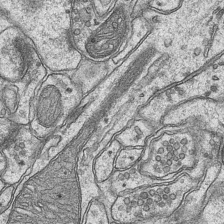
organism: Mouse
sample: CA1 Hippocampus